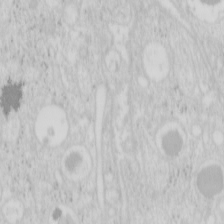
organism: Mouse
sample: Pancreas